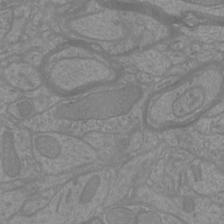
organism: Mouse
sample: Cortical neurons